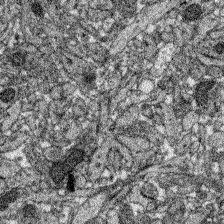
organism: Zebrafish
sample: Larval olfactory bulb